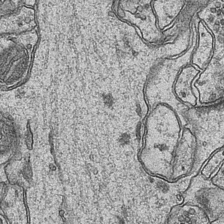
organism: Mouse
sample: CA1 Hippocampus